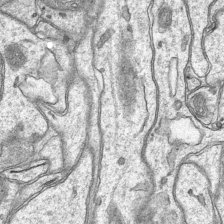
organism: Mouse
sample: CA1 Hippocampus